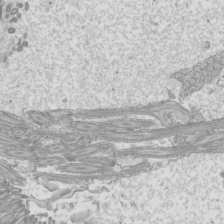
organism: Mouse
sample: Cilia; mouse epididymis